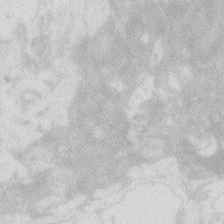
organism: Zebrafish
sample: Macrophage